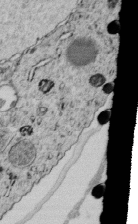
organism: C. elegans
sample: C. elegans embryo early stage